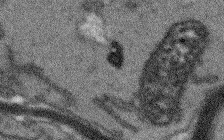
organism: Arabidopsis thaliana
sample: Root tip